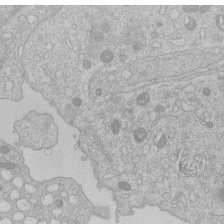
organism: Human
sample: Macrophage cells